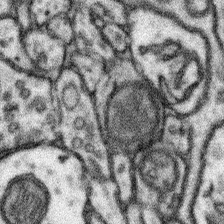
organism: Mouse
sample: Somatosensory cortex neuropil